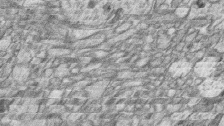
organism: Zebrafish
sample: synaptic ribbons in rod cells and cone cells